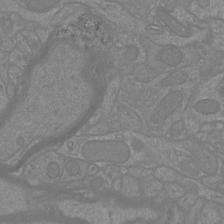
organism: Mouse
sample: Cortical neurons